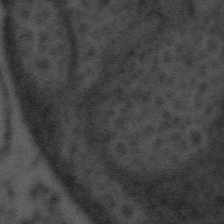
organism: Tuwongella immobilis